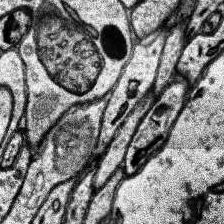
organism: Human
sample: Temporal Lobe